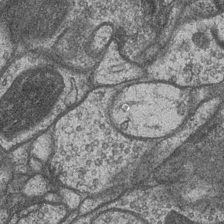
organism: Drosophila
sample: Optic medulla